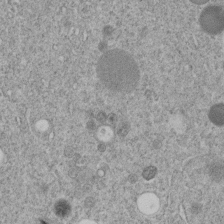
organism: C. elegans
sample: C. elegans embryo early stage